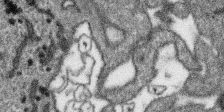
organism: Human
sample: Lung epithelial cells infected with SARS-CoV-2